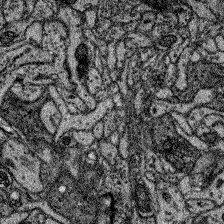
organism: Zebrafish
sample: Larval olfactory bulb